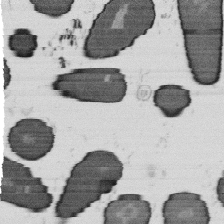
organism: B. subtilis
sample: Bacterial spore